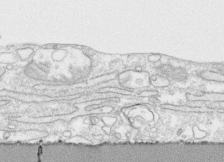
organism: Human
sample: CRL-1474